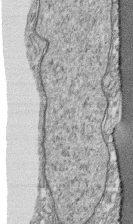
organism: Human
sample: CRL-1474